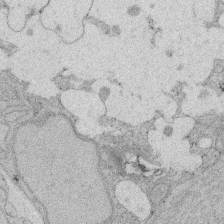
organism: Rat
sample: Salivary granule